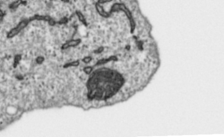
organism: Toxoplasma gondii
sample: Parasites in a vacuole inside a host cell